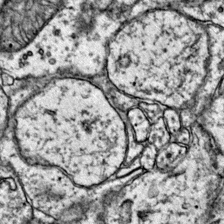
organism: Mouse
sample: Primary visual cortex